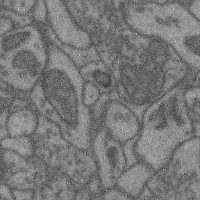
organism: Mouse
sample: Cerebral cortex